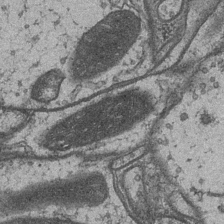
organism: Drosophila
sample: Optic medulla